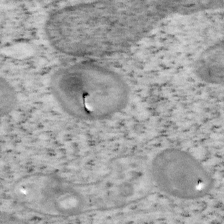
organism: Mouse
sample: OT-I killer T cells with ID8 ovarian cancer cells